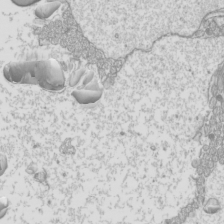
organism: Mouse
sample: Cilia; mouse epididymis